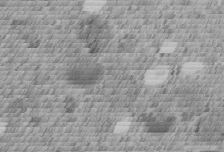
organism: C. elegans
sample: C. elegans embryo early stage